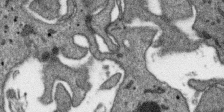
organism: Human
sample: Lung epithelial cells, uninfected (mock) control